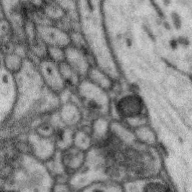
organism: Zebra finch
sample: Brain